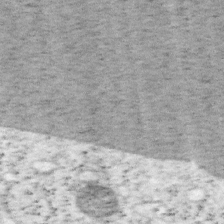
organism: Mouse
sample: OT-I killer T cells with ID8 ovarian cancer cells